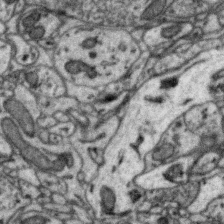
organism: Zebra finch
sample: Brain